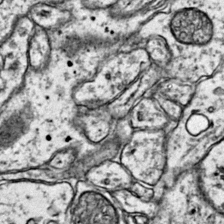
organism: Mouse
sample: Primary visual cortex